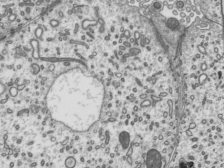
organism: Mouse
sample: Mouse epididymis efferent ductule cilia